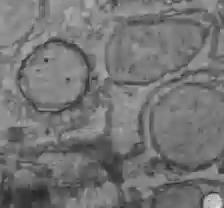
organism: C57BL Mouse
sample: Liver